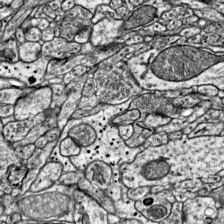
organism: Mouse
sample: Visual Cortex